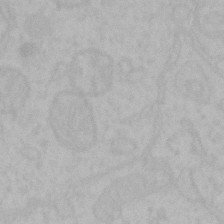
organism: Mouse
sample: Choroid plexus